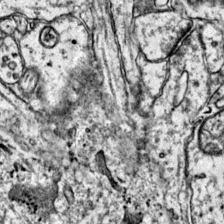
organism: Mouse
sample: Primary visual cortex